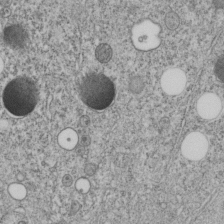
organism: C. elegans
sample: C. elegans embryo early stage